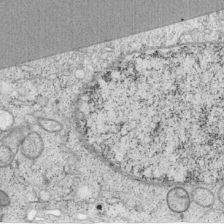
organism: African green monkey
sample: COS-7 cells